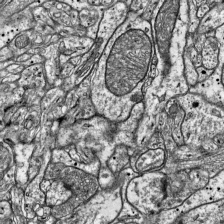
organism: Mouse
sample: Visual Cortex